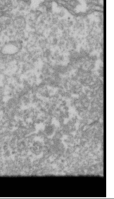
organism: Drosophila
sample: Cell division; meiosis; drosophila spermatocytes